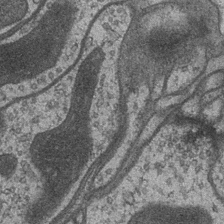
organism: Drosophila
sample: Optic medulla